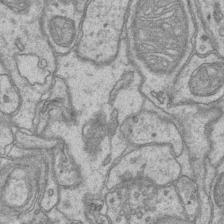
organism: Mouse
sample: CA1 Hippocampus